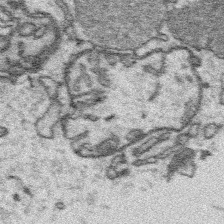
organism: Platynereis dumerilii